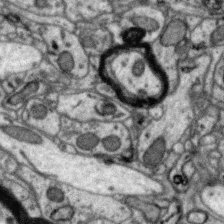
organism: Zebra finch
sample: Brain